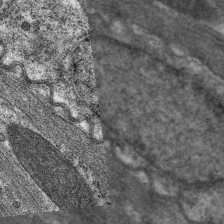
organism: C. elegans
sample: Pharynx